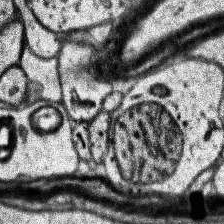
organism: Human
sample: Temporal Lobe